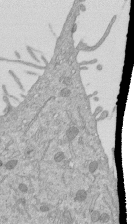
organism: Mouse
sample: ED-1 cell nuclei; centrioles